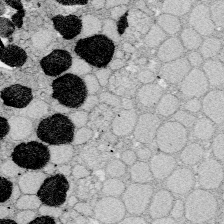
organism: Zebrafish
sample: Whole-Brain